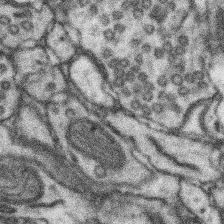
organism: Mouse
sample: Somatosensory cortex neuropil